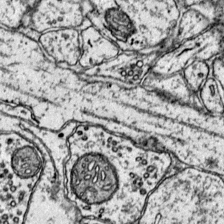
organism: Mouse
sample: Primary visual cortex